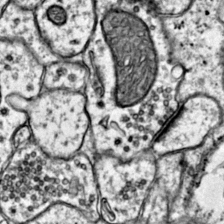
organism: Mouse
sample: Primary visual cortex